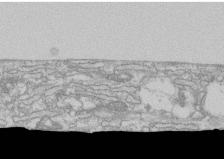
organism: Human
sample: CRL-1474